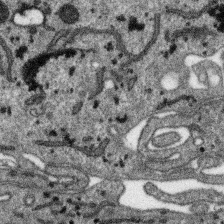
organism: Human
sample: Lung epithelial cells infected with SARS-CoV-2